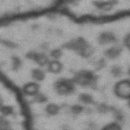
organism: Drosophila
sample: Brain